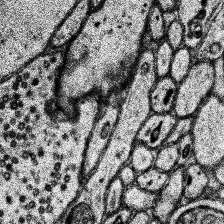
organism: Human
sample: Temporal Lobe